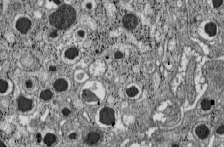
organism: C57BL Mouse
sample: Pancreatic islet